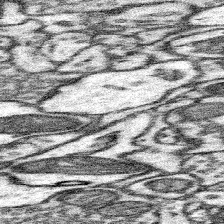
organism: Mouse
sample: Somatosensory cortex neuropil